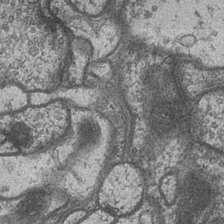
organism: Drosophila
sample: Optic medulla